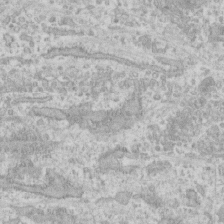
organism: Human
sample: CRL-1474